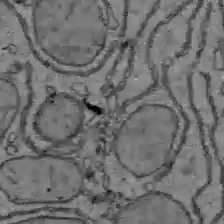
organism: C57BL Mouse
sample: Liver